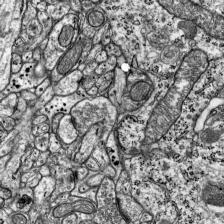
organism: Mouse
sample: Visual Cortex